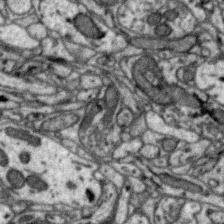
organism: Zebra finch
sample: Brain